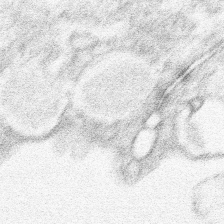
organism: Xenopus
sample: Cilia; centrioles in frog embryo cells